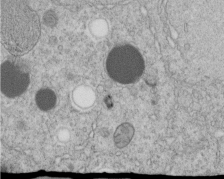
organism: C. elegans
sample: C. elegans embryo early stage